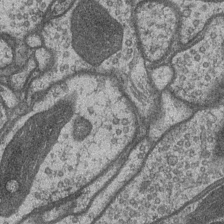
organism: Drosophila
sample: Optic medulla